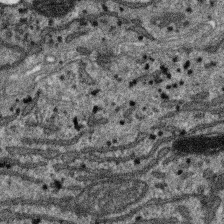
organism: Human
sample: Lung epithelial cells infected with SARS-CoV-2